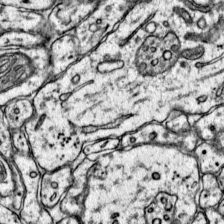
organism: Mouse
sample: Primary visual cortex